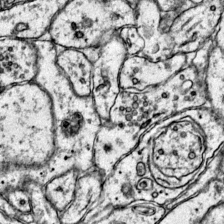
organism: Mouse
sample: Primary visual cortex